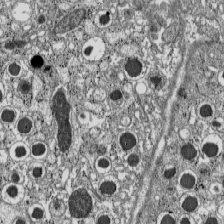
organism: C57BL Mouse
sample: Pancreatic islet